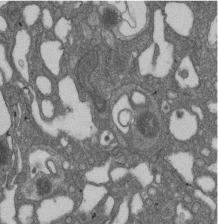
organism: Drosophila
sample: Nephrocyte